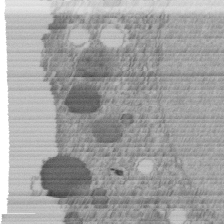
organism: C. elegans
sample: C. elegans embryo early stage